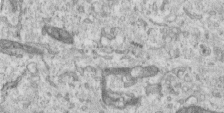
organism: Human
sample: Centriole in RPE cells